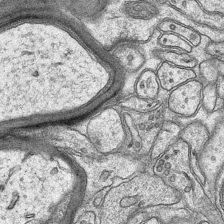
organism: Mouse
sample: CA1 Hippocampus